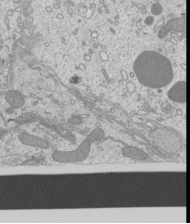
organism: Mouse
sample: Cilia; mouse epididymis